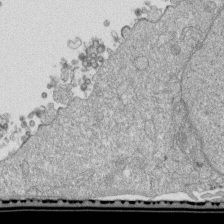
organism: Human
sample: HeLa cell HIV synapse